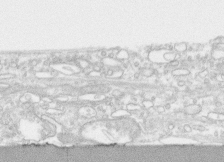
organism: Human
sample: CRL-1474